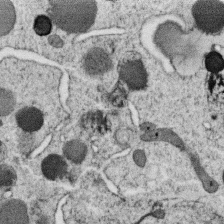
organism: C. elegans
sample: C. elegans oocyte; sperm cells